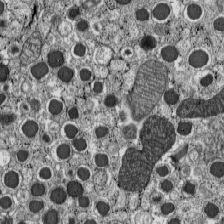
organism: C57BL Mouse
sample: Pancreatic islet